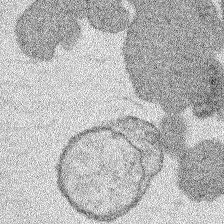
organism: Human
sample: HeLa cells